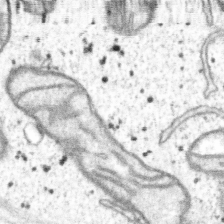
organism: Human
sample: HeLa cells